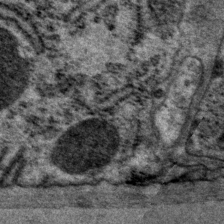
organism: P. pacificus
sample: Pharynx